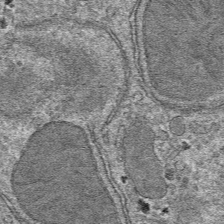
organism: Mouse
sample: Mouse hepatocytes